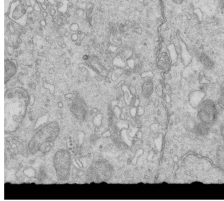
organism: Mouse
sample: Multiciliated cells